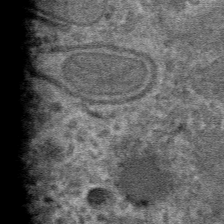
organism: Mouse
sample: Mouse hepatocytes